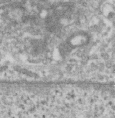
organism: Human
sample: Centriole in RPE cells